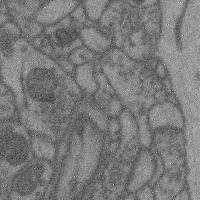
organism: Mouse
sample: Cerebral cortex